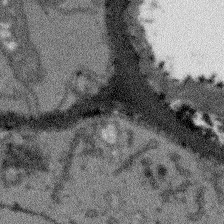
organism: Arabidopsis thaliana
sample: Root tip